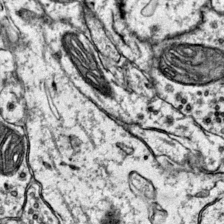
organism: Mouse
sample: Primary visual cortex